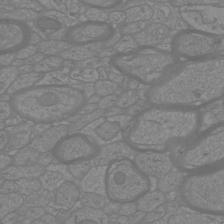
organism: Mouse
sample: Cortical neurons